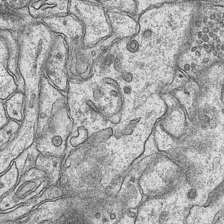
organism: Mouse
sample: CA1 Hippocampus